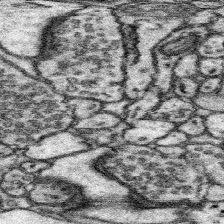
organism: Mouse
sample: Somatosensory cortex neuropil